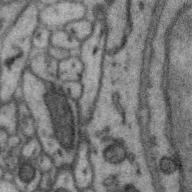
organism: Zebra finch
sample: Brain